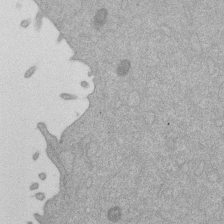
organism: Mouse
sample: Dividing mouse embryo 1 cell stage